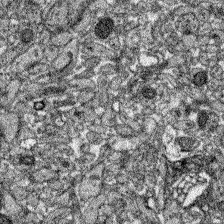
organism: Zebrafish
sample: Larval olfactory bulb